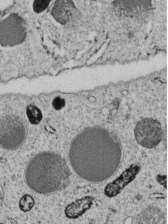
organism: C. elegans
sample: C. elegans embryo early stage